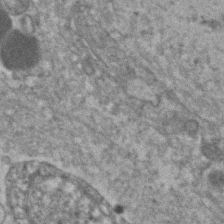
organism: Human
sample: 1205lu cells